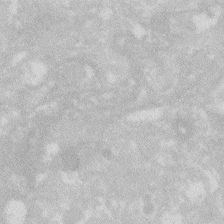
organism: Zebrafish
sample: Macrophage